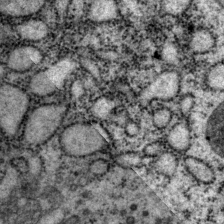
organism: P. pacificus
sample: Pharynx